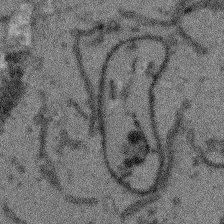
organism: Arabidopsis thaliana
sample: Root tip